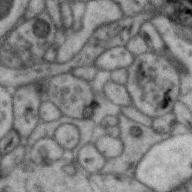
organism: Zebra finch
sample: Brain